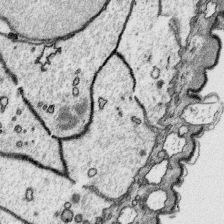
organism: Platynereis dumerilii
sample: Parapodia